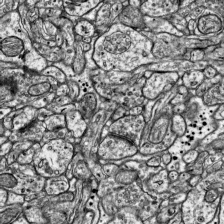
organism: Mouse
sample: Visual Cortex